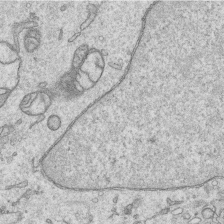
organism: Human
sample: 1205lu cells